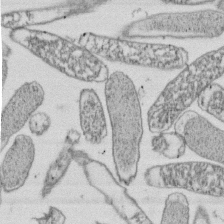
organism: E. coli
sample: Bacterial nucleoid